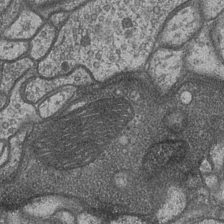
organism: Drosophila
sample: Optic medulla